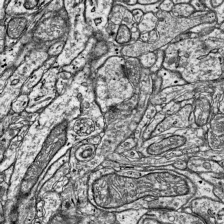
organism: Mouse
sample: Visual Cortex